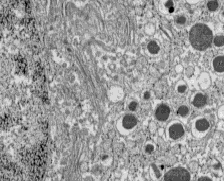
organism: C57BL Mouse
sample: Pancreatic islet